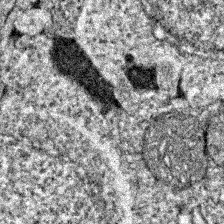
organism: Zebrafish